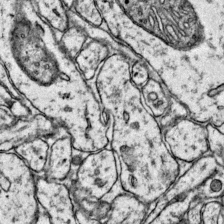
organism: Mouse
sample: Primary visual cortex